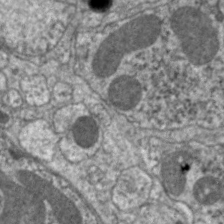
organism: C. elegans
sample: Pharynx